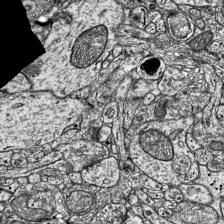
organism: Mouse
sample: Visual Cortex